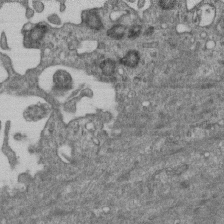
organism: Mouse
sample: Centriole in ependymal cells